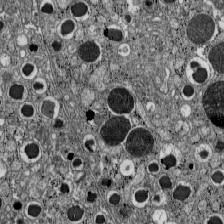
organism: C57BL Mouse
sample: Pancreatic islet